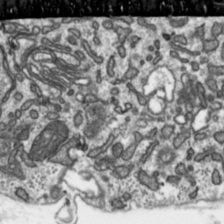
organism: Toxoplasma gondii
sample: Parasites in a vacuole inside a host cell